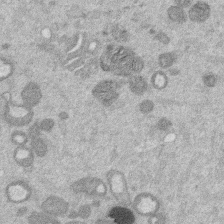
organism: Mouse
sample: Dividing mouse embryo 1 cell stage